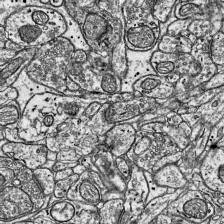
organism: Mouse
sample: Visual Cortex